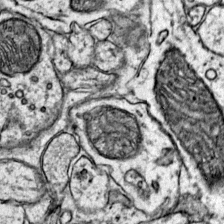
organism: Mouse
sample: Primary visual cortex